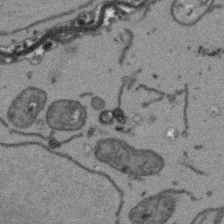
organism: Arabidopsis thaliana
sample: Root tip